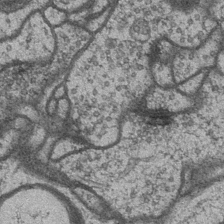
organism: Drosophila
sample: Optic medulla